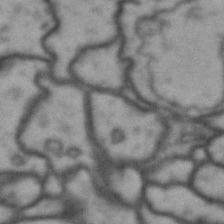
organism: Drosophila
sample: Brain